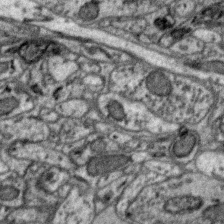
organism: Zebra finch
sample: Brain